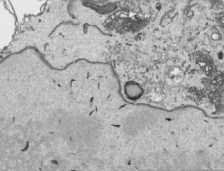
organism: Human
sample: Mitochondria in HCT116 cells